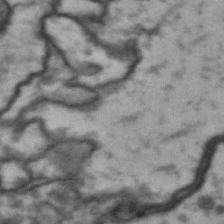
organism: Drosophila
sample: Brain